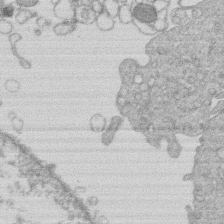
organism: Human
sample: Macrophage cells